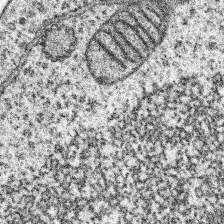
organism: Human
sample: HeLa cells